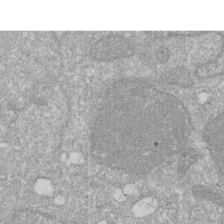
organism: Human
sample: HIV infected U937 cells